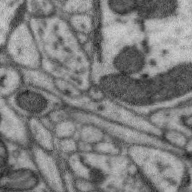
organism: Zebra finch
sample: Brain